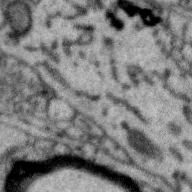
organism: Zebra finch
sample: Brain